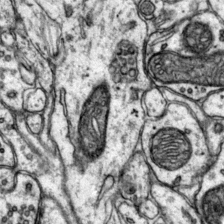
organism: Mouse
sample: Primary visual cortex